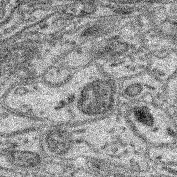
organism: Mouse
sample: Retina